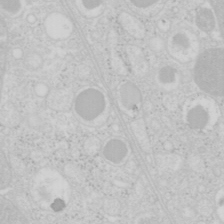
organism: Mouse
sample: Pancreas